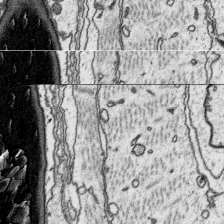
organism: Platynereis dumerilii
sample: Parapodia